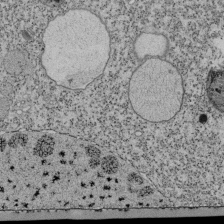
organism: Tetrahymena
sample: Cilia in tetrahymena